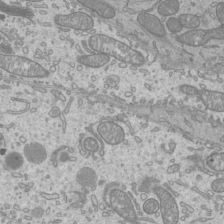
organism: Mouse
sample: Cilia; mouse epididymis